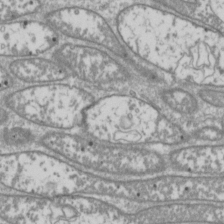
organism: Drosophila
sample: Cell division; meiosis; drosophila spermatocytes